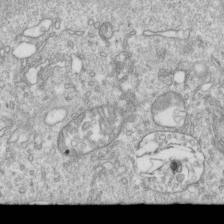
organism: Mouse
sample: Activated OT-1 CD8+ T cells